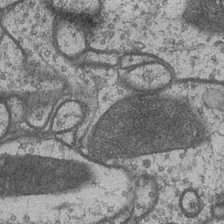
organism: Drosophila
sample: Optic medulla